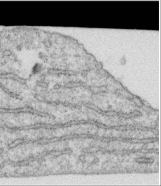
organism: Human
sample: Centriole in RPE cells